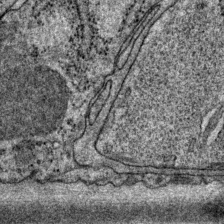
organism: P. pacificus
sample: Pharynx